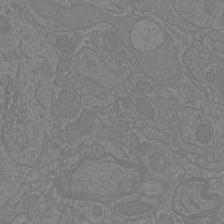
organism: Mouse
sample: Cortical neurons